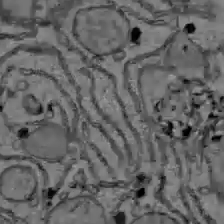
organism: C57BL Mouse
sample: Liver